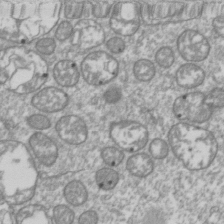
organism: Drosophila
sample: Cell division; meiosis; drosophila spermatocytes